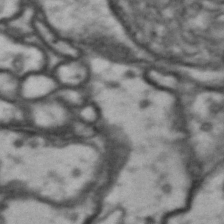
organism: Drosophila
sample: Brain